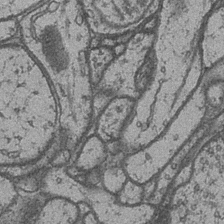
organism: Drosophila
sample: Optic medulla